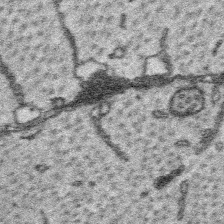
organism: Platynereis dumerilii